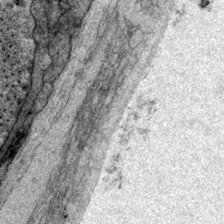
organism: P. pacificus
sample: Pharynx